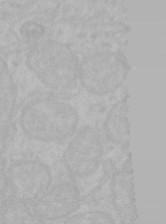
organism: Mouse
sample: Choroid plexus